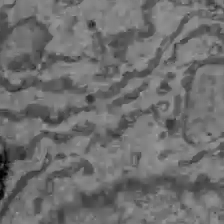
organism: C57BL Mouse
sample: Liver